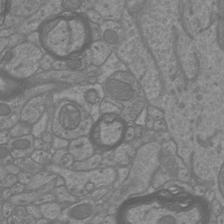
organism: Mouse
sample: Cortical neurons